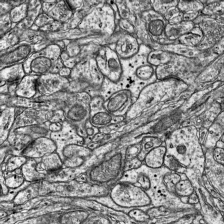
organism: Mouse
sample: Visual Cortex